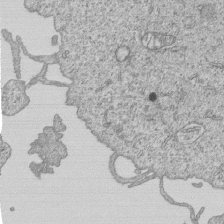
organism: Human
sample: MDA-MB-231 cells